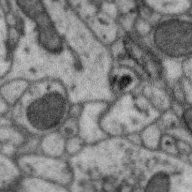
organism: Zebra finch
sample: Brain